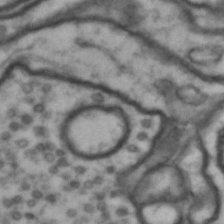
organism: Drosophila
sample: Brain